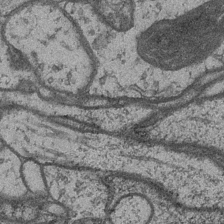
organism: Drosophila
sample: Optic medulla